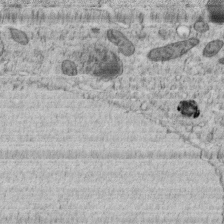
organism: C. elegans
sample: C. elegans embryo early stage